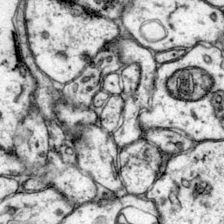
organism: Mouse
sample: Primary visual cortex